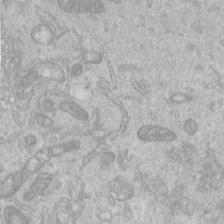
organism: Human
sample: Centriole in RPE cells